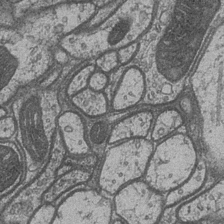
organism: Drosophila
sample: Optic medulla